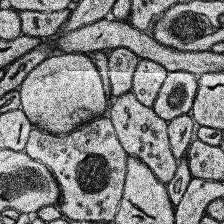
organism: Human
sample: Temporal Lobe